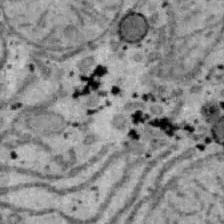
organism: Mouse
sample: Liver from an obese (ob/ob) mouse